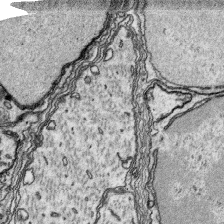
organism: Platynereis dumerilii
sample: Parapodia